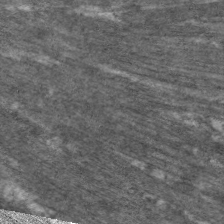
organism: C. elegans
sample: Pharynx